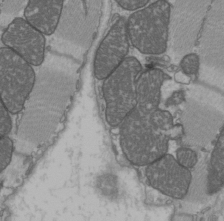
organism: C57BL Mouse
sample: Heart